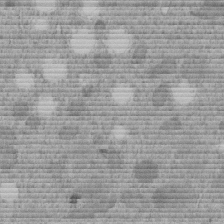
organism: C. elegans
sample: C. elegans embryo early stage